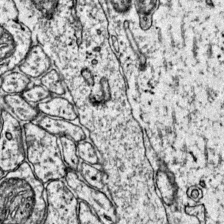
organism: Mouse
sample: Primary visual cortex